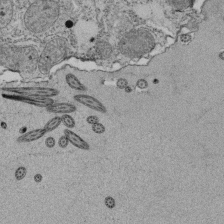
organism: Tetrahymena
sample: Cilia in tetrahymena